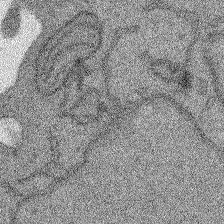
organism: Human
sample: HeLa cells